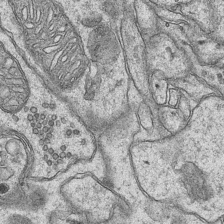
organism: Mouse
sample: CA1 Hippocampus